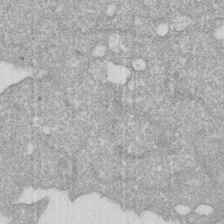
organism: Human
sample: HIV infected U937 cells